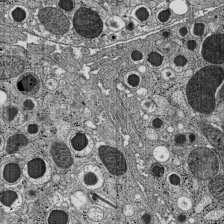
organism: C57BL Mouse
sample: Pancreatic islet